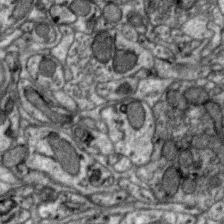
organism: Zebra finch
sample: Brain